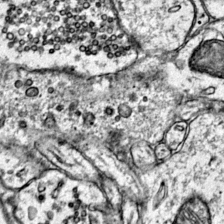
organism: Mouse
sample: Primary visual cortex